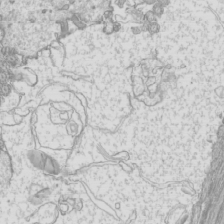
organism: Mouse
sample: Cilia; mouse epididymis